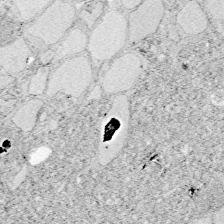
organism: Zebrafish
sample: Whole-Brain